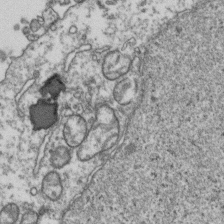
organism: Human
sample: Activated Jurkat CD4+ T cells